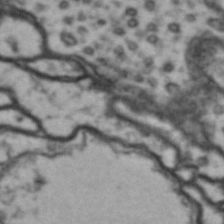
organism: Drosophila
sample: Brain